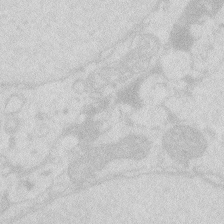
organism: Zebrafish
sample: Macrophage